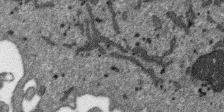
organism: Human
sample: Lung epithelial cells infected with SARS-CoV-2